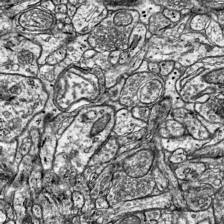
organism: Mouse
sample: Visual Cortex